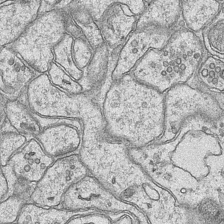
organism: Mouse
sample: CA1 Hippocampus